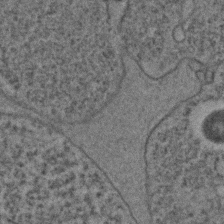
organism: C. elegans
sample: C. elegans embryo